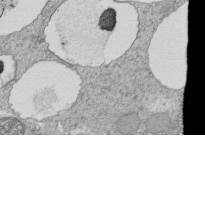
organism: Tetrahymena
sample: Cilia in tetrahymena